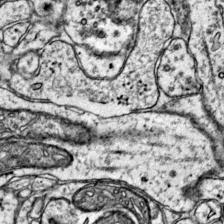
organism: Mouse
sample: Primary visual cortex